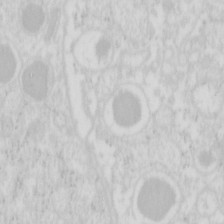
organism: Mouse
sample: Pancreas